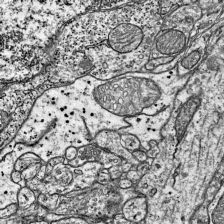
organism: Mouse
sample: Visual Cortex